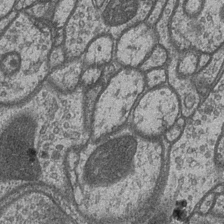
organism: Drosophila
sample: Optic medulla